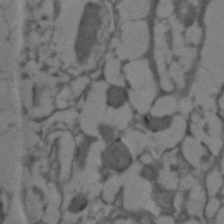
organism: C. elegans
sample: C. elegans embryo